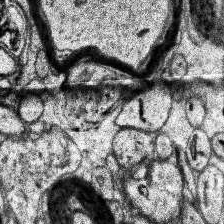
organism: Human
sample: Temporal Lobe